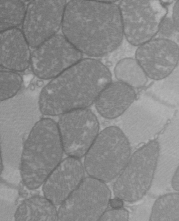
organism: C57BL Mouse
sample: Heart